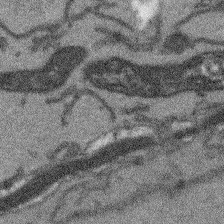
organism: Arabidopsis thaliana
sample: Root tip